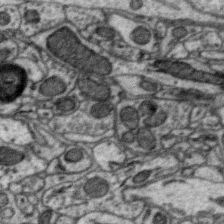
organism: Zebra finch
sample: Brain